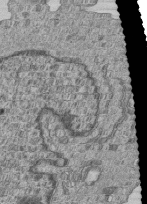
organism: Human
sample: MDA-MB-231 cells